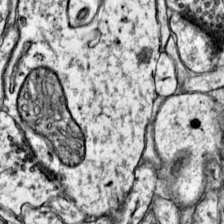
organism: Mouse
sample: Primary visual cortex